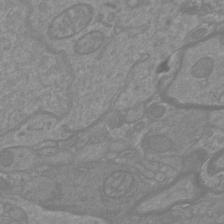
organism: Mouse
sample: Cortical neurons